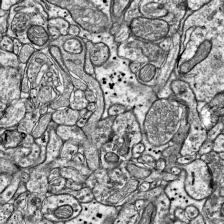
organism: Mouse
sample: Visual Cortex